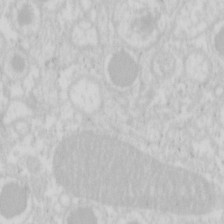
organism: Mouse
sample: Pancreas